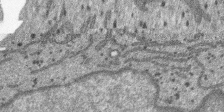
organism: Human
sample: Lung epithelial cells infected with SARS-CoV-2